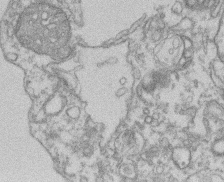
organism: Mouse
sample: T cell stromal cell synapse